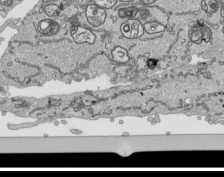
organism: Human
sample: Mitochondria in HCT116 cells